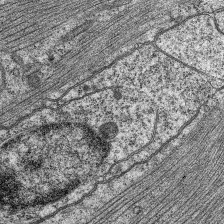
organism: C. elegans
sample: Pharynx